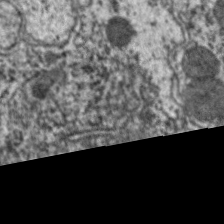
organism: C. elegans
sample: Pharynx